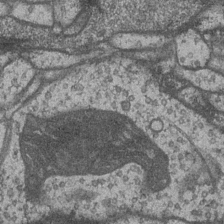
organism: Drosophila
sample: Optic medulla